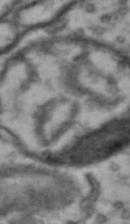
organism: Drosophila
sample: Brain